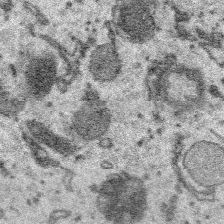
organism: Platynereis dumerilii